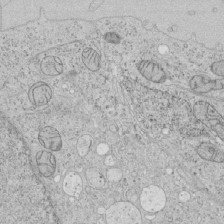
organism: Human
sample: Mitochondria in HCT116 cells